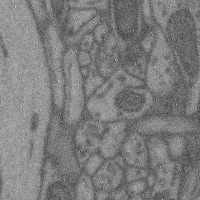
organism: Mouse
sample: Cerebral cortex